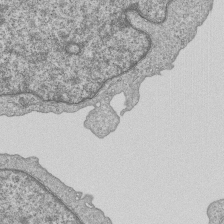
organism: Human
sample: MDA-MB-231 cells